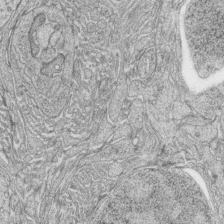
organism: Zebrafish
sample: synaptic ribbons in rod cells and cone cells